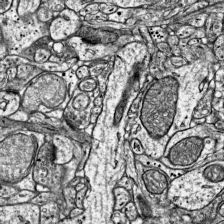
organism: Mouse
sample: Visual Cortex